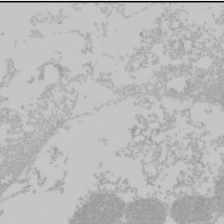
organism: Mouse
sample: Cancer cell death in ED-1 cells